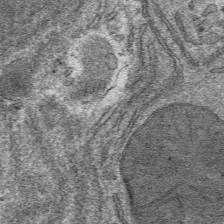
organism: Mouse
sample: Mouse hepatocytes